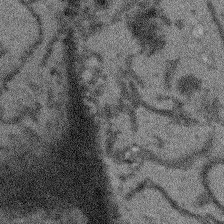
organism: Arabidopsis thaliana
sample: Root tip